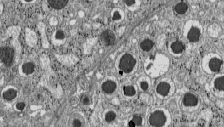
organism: C57BL Mouse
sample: Pancreatic islet